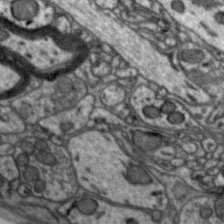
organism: Zebra finch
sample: Brain